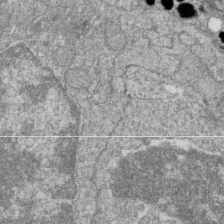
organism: Zebrafish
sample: Cilia; retinal pigment epithelium